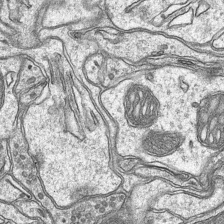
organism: Mouse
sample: CA1 Hippocampus